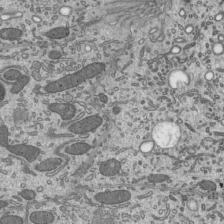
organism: Mouse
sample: Mouse epididymis efferent ductule cilia